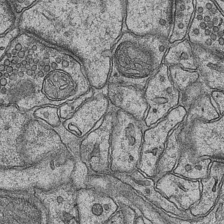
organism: Mouse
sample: CA1 Hippocampus